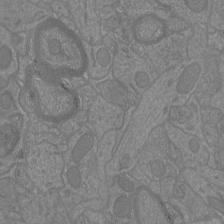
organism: Mouse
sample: Cortical neurons